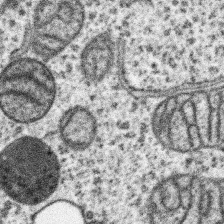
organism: Human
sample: HeLa cells